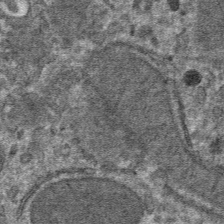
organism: Mouse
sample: Mouse hepatocytes